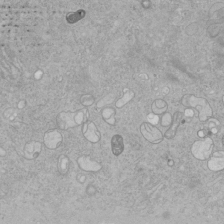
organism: Human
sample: Mitochondria in HCT116 cells